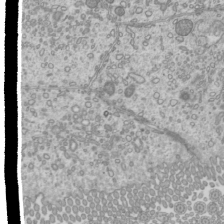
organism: Mouse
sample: Cilia; mouse epididymis